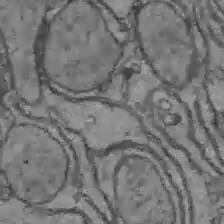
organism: C57BL Mouse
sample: Liver